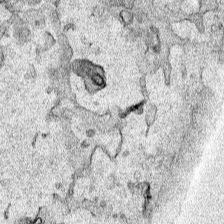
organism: Human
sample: Mitochondria in HCT116 cells